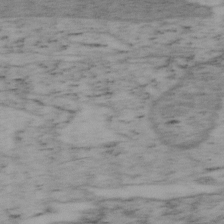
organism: Mouse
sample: OT-I killer T cells with ID8 ovarian cancer cells